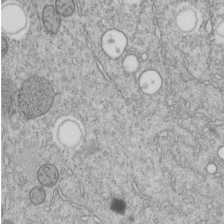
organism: C. elegans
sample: C. elegans embryo early stage